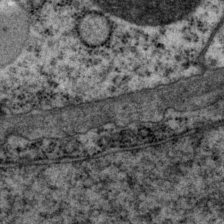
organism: P. pacificus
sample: Pharynx